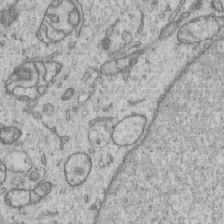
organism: Human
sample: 1205lu cells